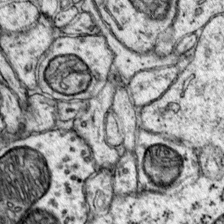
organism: Mouse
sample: Primary visual cortex